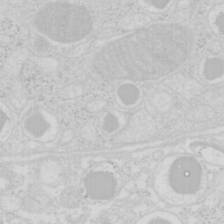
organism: Mouse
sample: Pancreas